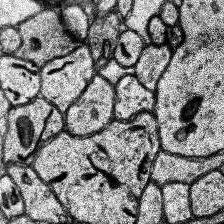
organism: Human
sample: Temporal Lobe